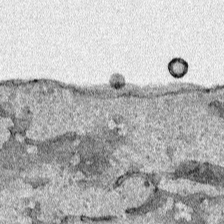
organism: Human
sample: Mitochondria in HCT116 cells